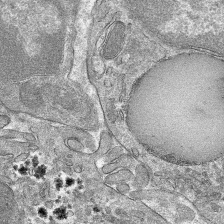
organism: Mouse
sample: Mouse hepatocytes